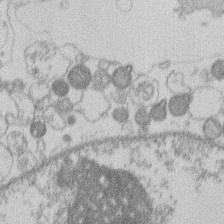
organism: Human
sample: Macrophage cells